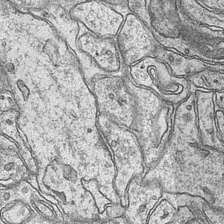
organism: Mouse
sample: CA1 Hippocampus